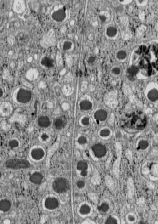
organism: C57BL Mouse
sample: Pancreatic islet